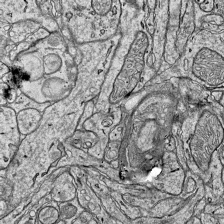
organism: Mouse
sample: Visual Cortex